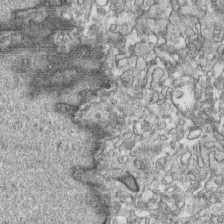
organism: Human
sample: CRL-1474